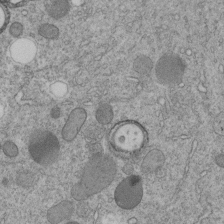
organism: C. elegans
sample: C. elegans embryo early stage